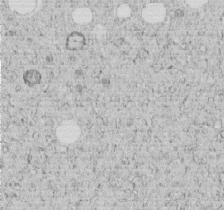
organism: C. elegans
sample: C. elegans embryo early stage